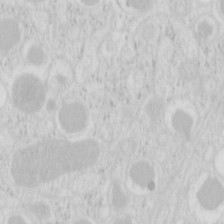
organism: Mouse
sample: Pancreas